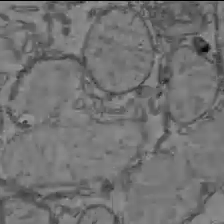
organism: C57BL Mouse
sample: Liver